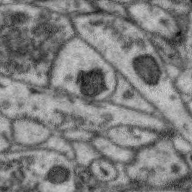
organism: Zebra finch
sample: Brain